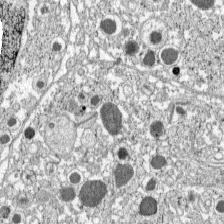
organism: C57BL Mouse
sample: Pancreatic islet